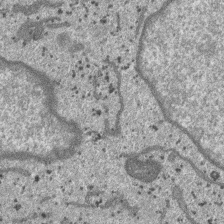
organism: Human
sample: Lung epithelial cells infected with SARS-CoV-2